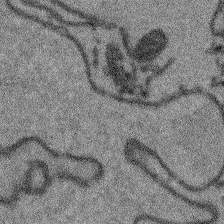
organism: Arabidopsis thaliana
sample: Root tip